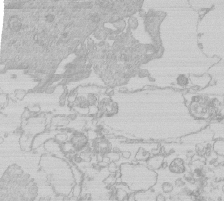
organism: Human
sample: Macrophage cells